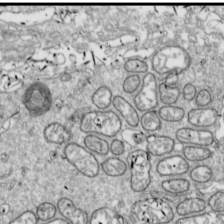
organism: Drosophila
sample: Cell division; meiosis; drosophila spermatocytes